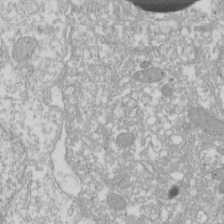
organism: Xenopus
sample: Cilia; centrioles in frog embryo cells